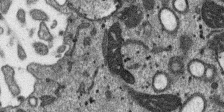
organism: Human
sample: Lung epithelial cells infected with SARS-CoV-2